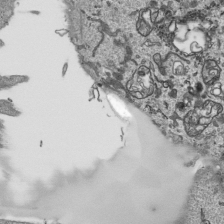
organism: Human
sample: Mitochondria in HCT116 cells